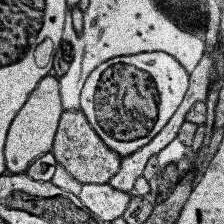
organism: Human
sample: Temporal Lobe